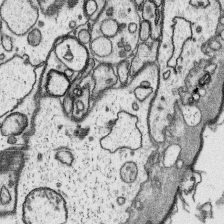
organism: Platynereis dumerilii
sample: Parapodia